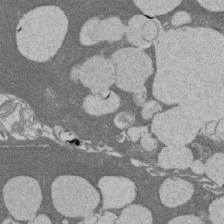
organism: Rat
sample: Salivary granule